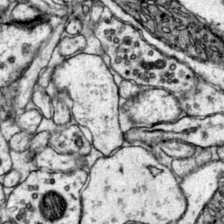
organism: Mouse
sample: Primary visual cortex